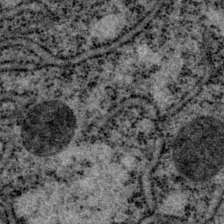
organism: P. pacificus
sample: Pharynx